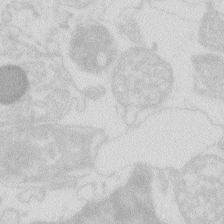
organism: Zebrafish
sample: Macrophage